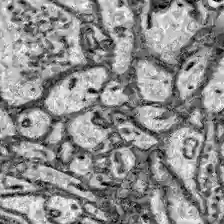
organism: Zebrafish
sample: Brain